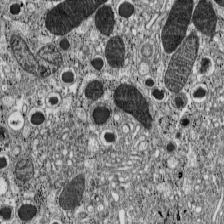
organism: C57BL Mouse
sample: Pancreatic islet